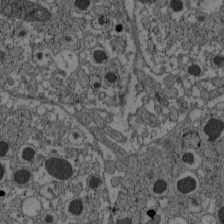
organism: C57BL Mouse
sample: Pancreatic islet